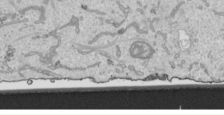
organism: Human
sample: Mitochondria in HCT116 cells